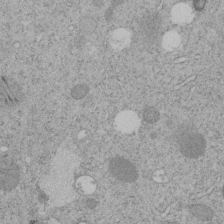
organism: C. elegans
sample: C. elegans embryo early stage